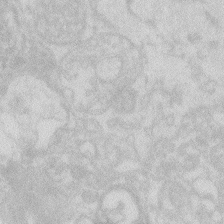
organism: Zebrafish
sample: Macrophage